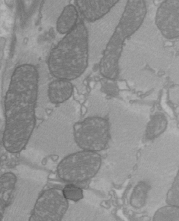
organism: C57BL Mouse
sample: Heart